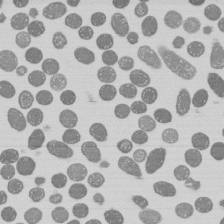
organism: E. coli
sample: Bacterial nucleoid